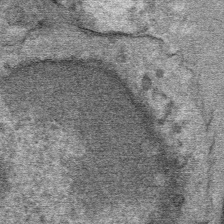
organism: Mouse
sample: Mouse Salivary gland